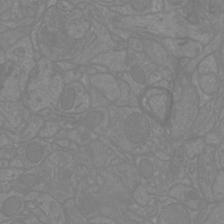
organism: Mouse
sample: Cortical neurons